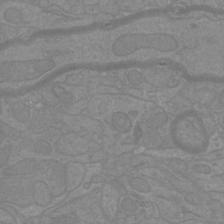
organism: Mouse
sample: Cortical neurons